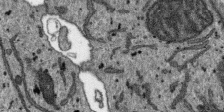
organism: Human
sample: Lung epithelial cells, uninfected (mock) control